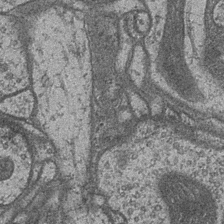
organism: Drosophila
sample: Optic medulla